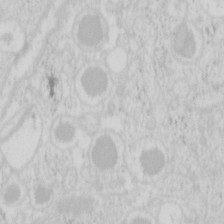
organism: Mouse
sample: Pancreas